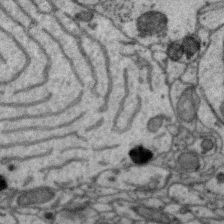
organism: Zebra finch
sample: Brain